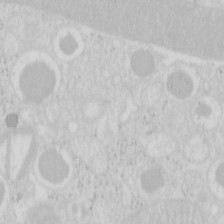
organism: Mouse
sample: Pancreas